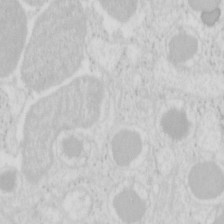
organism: Mouse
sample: Pancreas